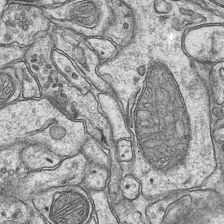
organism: Mouse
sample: CA1 Hippocampus